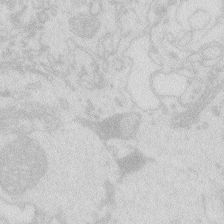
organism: Zebrafish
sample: Macrophage